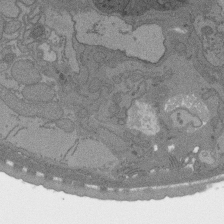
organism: C. elegans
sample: AFD neurons C. elegans